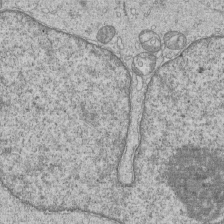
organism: Human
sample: MDA-MB-231 cells